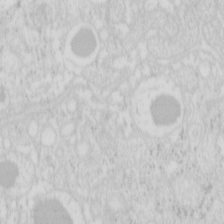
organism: Mouse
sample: Pancreas